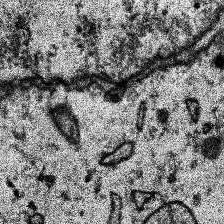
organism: Human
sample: Temporal Lobe